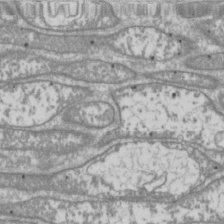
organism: Drosophila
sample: Cell division; meiosis; drosophila spermatocytes